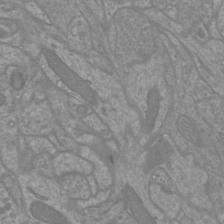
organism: Mouse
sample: Cortical neurons